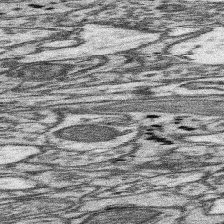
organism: Mouse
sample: Somatosensory cortex neuropil